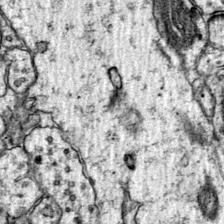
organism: Mouse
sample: Primary visual cortex